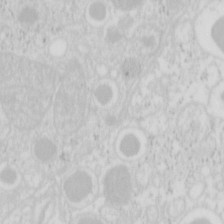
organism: Mouse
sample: Pancreas